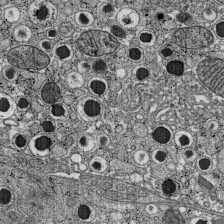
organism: C57BL Mouse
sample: Pancreatic islet